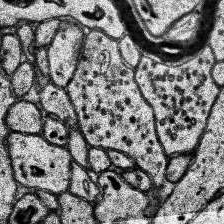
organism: Human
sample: Temporal Lobe